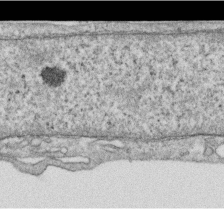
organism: Human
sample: Centriole in RPE cells